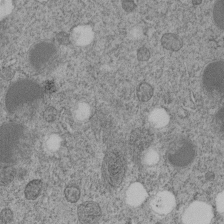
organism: C. elegans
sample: C. elegans embryo early stage